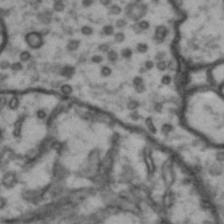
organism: Drosophila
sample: Brain